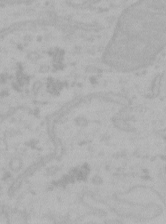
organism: Mouse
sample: Choroid plexus